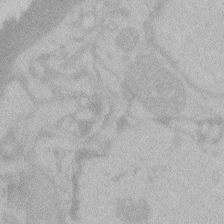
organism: Zebrafish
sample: Macrophage infected with Toxoplasma gondii